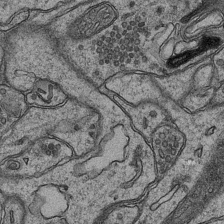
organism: Mouse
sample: CA1 Hippocampus